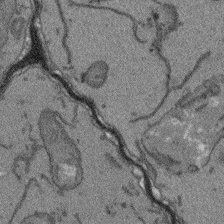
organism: Arabidopsis thaliana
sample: Root tip